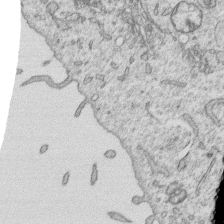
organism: Human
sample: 1205lu cells